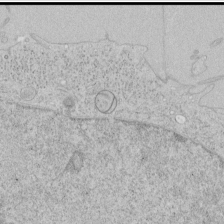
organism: Human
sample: Mitochondria in HCT116 cells